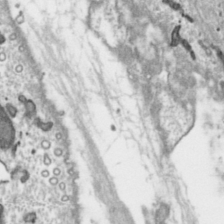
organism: Toxoplasma gondii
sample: Parasites in a vacuole inside a host cell